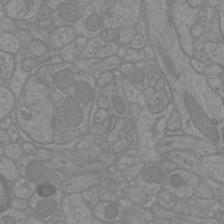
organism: Mouse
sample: Cortical neurons